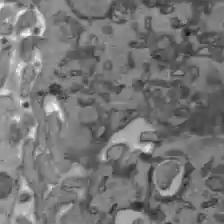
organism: C57BL Mouse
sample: Liver